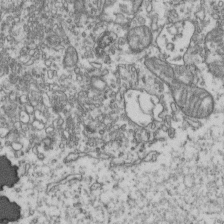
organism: Human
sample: Activated Jurkat CD4+ T cells